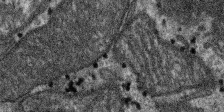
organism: Human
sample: Lung epithelial cells infected with SARS-CoV-2